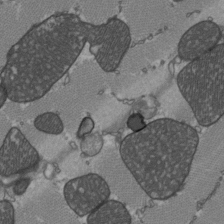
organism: C57BL Mouse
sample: Heart